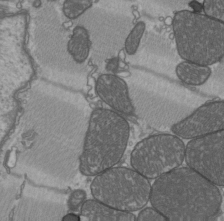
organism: C57BL Mouse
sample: Heart